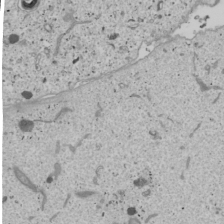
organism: Human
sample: Mitochondria in U2OS cells